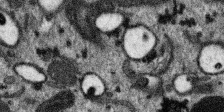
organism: Human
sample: Lung epithelial cells infected with SARS-CoV-2